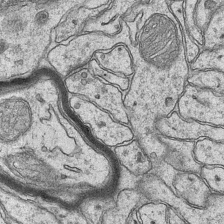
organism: Mouse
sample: CA1 Hippocampus